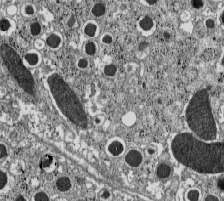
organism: C57BL Mouse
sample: Pancreatic islet